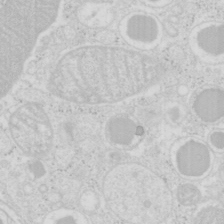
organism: Mouse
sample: Pancreas